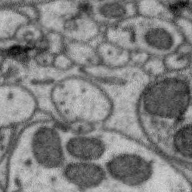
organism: Zebra finch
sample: Brain